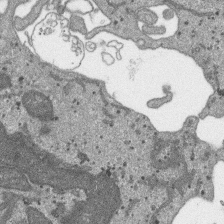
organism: Human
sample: Lung epithelial cells infected with SARS-CoV-2